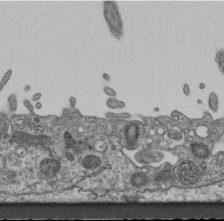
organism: Mouse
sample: Centriole in ependymal cells